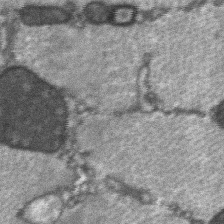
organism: C57BL Mouse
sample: Soleus